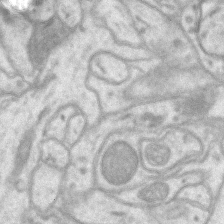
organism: Mouse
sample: CA1 Hippocampus